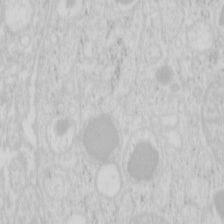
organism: Mouse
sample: Pancreas